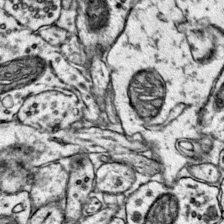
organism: Mouse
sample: Primary visual cortex